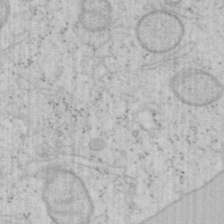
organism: Human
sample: HeLa cells